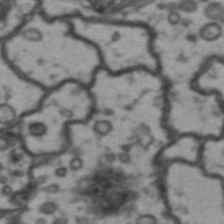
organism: Drosophila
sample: Brain